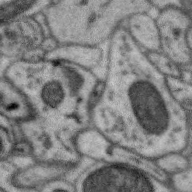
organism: Zebra finch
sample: Brain